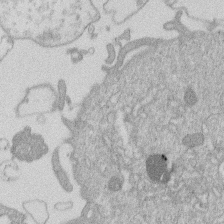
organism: Human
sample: Macrophage cells